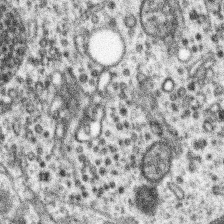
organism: Human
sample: HeLa cells